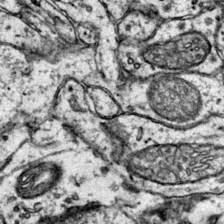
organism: Mouse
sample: Primary visual cortex